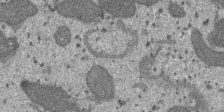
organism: Human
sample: Lung epithelial cells infected with SARS-CoV-2